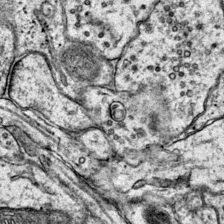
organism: Mouse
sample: Primary visual cortex